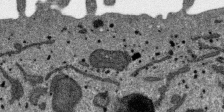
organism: Human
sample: Lung epithelial cells, uninfected (mock) control